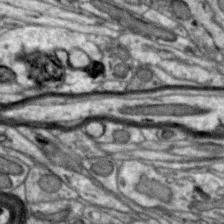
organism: Zebra finch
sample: Brain